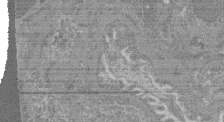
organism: Mouse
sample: Glomerulus